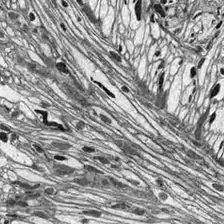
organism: Drosophila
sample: Optic lobe